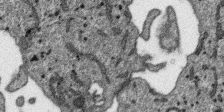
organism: Human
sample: Lung epithelial cells infected with SARS-CoV-2